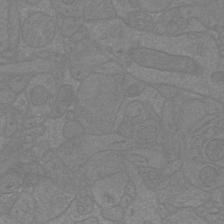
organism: Mouse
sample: Cortical neurons